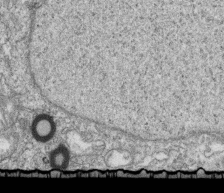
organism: Human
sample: HeLa cell HIV synapse